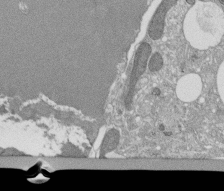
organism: Tetrahymena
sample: Cilia in tetrahymena